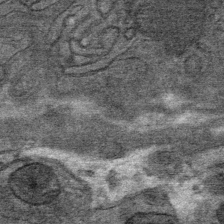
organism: Mouse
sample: Mouse Salivary gland